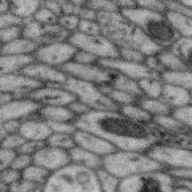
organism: Zebra finch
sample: Brain